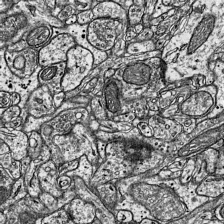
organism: Mouse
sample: Visual Cortex